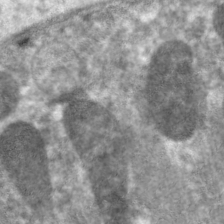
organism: C. elegans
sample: Pharynx